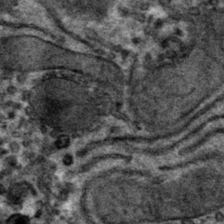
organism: Mouse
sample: Mouse hepatocytes